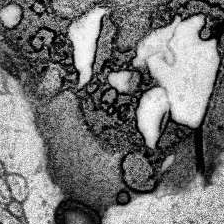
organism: Human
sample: Temporal Lobe